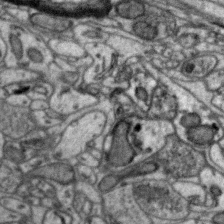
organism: Zebra finch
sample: Brain